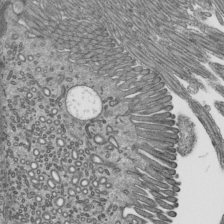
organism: Mouse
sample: Mouse epididymis efferent ductule cilia